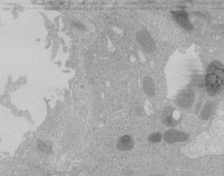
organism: Human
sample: Retinal organoid Rod and Cone cells